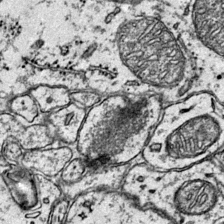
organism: Mouse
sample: Primary visual cortex